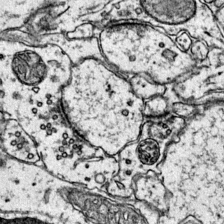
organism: Mouse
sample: Primary visual cortex